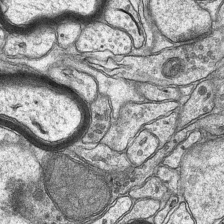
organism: Mouse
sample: CA1 Hippocampus